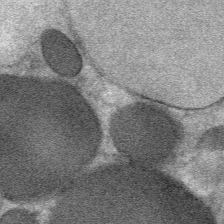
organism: Mouse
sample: Mouse Salivary gland